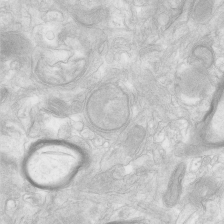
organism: Human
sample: Neocortex